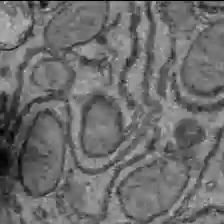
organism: C57BL Mouse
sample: Liver